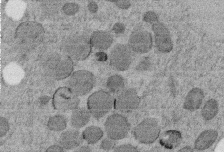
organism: C. elegans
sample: C. elegans embryo early stage